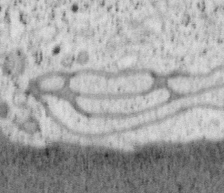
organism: Mouse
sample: OT-I killer T cells with ID8 ovarian cancer cells